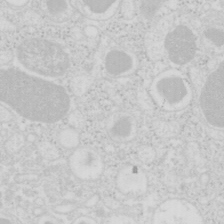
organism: Mouse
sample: Pancreas